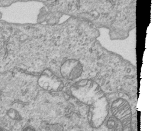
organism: Human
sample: MDA-MB-231 cells